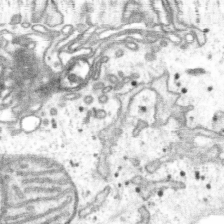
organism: Human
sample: HeLa cells